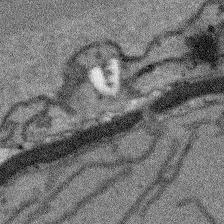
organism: Arabidopsis thaliana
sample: Root tip